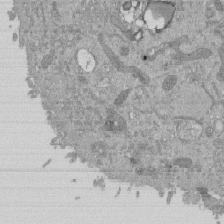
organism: Mouse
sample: ED-1 cell nuclei; centrioles